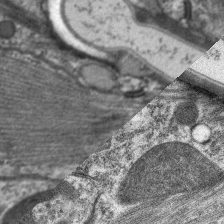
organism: C. elegans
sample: Pharynx